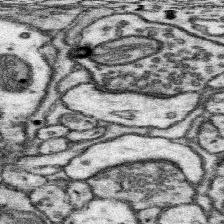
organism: Mouse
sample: Somatosensory cortex neuropil